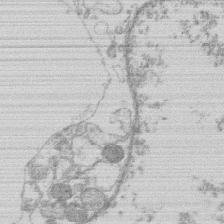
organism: Human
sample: Macrophage cells